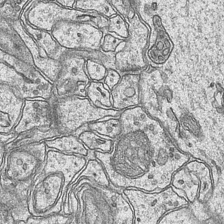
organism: Mouse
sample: CA1 Hippocampus